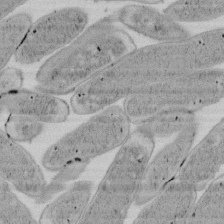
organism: E. coli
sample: Bacterial nucleoid